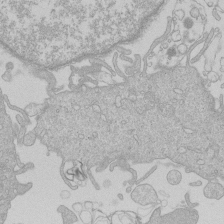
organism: Human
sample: Macrophage cells